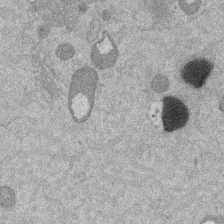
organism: Mouse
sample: Dividing mouse embryo 1 cell stage